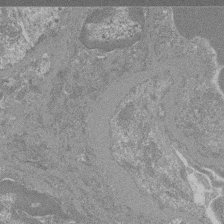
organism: Mouse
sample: Glomerulus